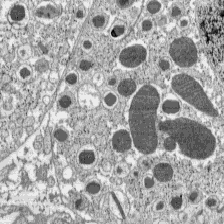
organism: C57BL Mouse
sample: Pancreatic islet